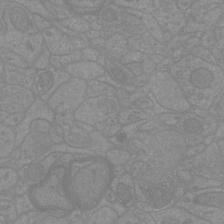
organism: Mouse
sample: Cortical neurons